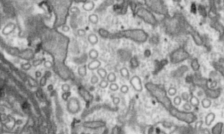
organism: Toxoplasma gondii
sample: Parasites in a vacuole inside a host cell